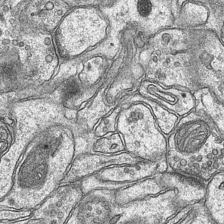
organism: Mouse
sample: CA1 Hippocampus